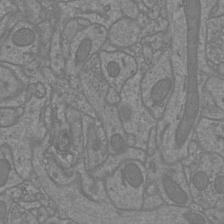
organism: Mouse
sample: Cortical neurons